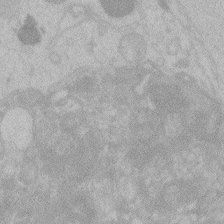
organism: Zebrafish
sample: Macrophage infected with Toxoplasma gondii